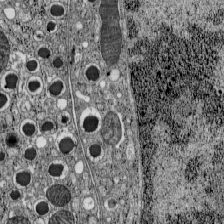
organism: C57BL Mouse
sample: Pancreatic islet